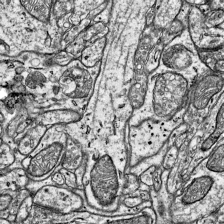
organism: Mouse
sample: Visual Cortex